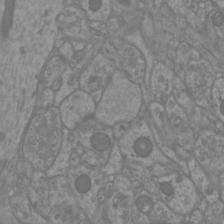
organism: Mouse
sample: Cortical neurons